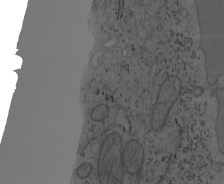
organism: Mouse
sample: OT-I killer T cells with ID8 ovarian cancer cells